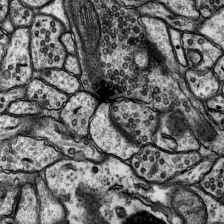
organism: Rat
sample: Hippocampus